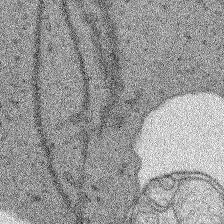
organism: Human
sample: HeLa cells